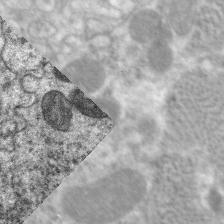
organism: C. elegans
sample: Pharynx